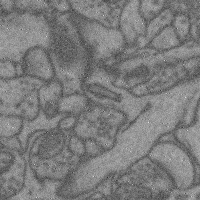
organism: Mouse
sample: Cerebral cortex